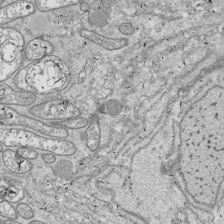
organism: Drosophila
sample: Cell division; meiosis; drosophila spermatocytes